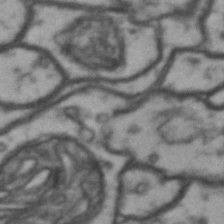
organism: Drosophila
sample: Brain